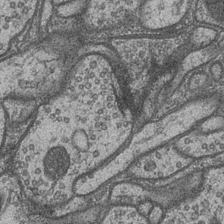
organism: Drosophila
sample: Optic medulla